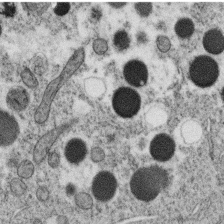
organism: C. elegans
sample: C. elegans oocyte; sperm cells